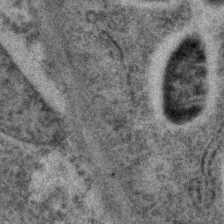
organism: C. elegans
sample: C. elegans embryo